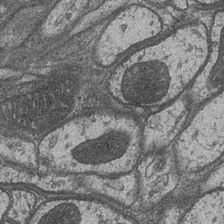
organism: Drosophila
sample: Optic medulla